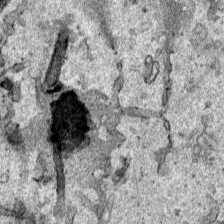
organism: Human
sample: Mitochondria in HCT116 cells